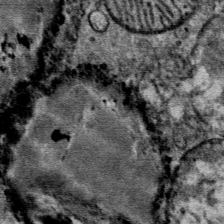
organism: Mouse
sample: Mouse Salivary gland